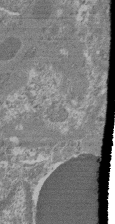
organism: Mouse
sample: Glomerulus